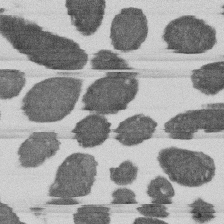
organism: E. coli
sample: Bacterial nucleoid